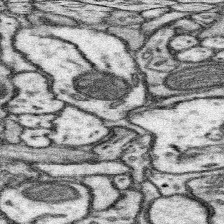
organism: Mouse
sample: Somatosensory cortex neuropil